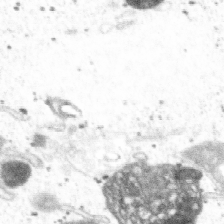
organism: Human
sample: HeLa cells